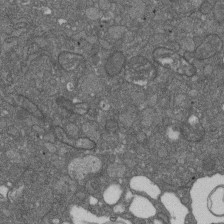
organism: Drosophila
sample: Nephrocyte